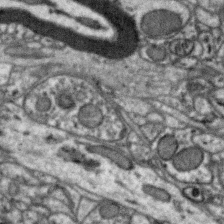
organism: Zebra finch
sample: Brain